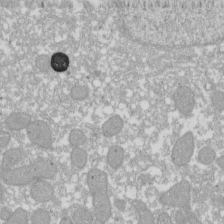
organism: Xenopus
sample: Cilia; centrioles in frog embryo cells